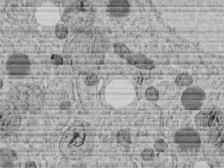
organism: C. elegans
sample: C. elegans embryo early stage